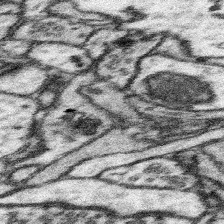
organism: Mouse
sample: Somatosensory cortex neuropil